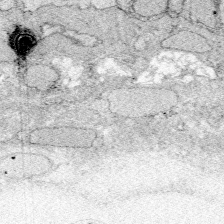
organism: Zebrafish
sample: Whole-Brain